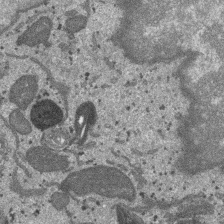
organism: Human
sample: Lung epithelial cells infected with SARS-CoV-2